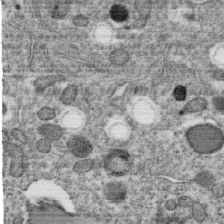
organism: C. elegans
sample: C. elegans oocyte; sperm cells